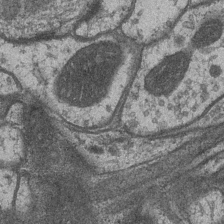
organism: Drosophila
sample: Optic medulla